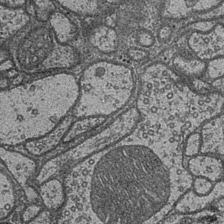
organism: Drosophila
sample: Optic medulla